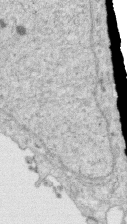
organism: Human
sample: HeLa cell HIV synapse